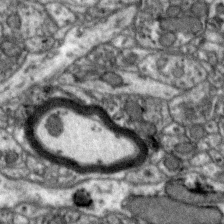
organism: Zebra finch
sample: Brain